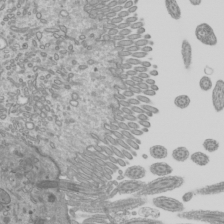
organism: Mouse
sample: Cilia; mouse epididymis